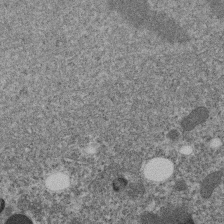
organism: C. elegans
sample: C. elegans embryo early stage